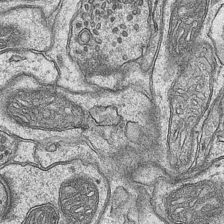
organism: Mouse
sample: CA1 Hippocampus